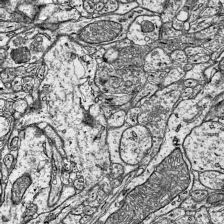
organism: Mouse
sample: Visual Cortex